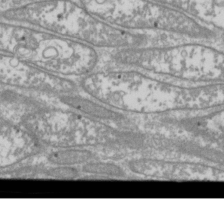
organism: Drosophila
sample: Cell division; meiosis; drosophila spermatocytes